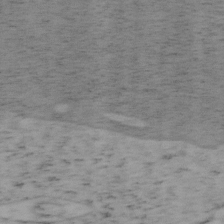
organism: Mouse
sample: OT-I killer T cells with ID8 ovarian cancer cells